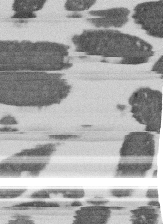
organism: E. coli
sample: Bacterial nucleoid